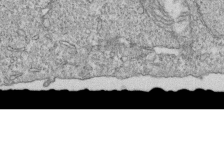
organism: Human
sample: HeLa cell HIV synapse